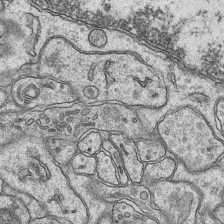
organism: Mouse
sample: CA1 Hippocampus